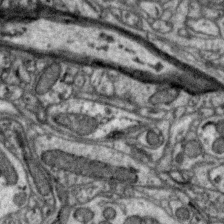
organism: Zebra finch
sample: Brain